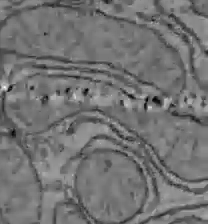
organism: C57BL Mouse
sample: Liver